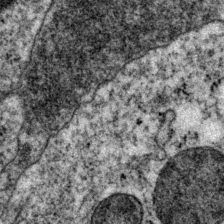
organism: P. pacificus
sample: Pharynx